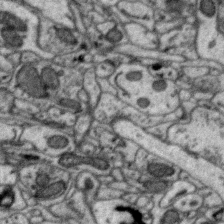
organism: Zebra finch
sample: Brain